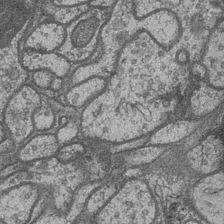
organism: Drosophila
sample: Optic medulla